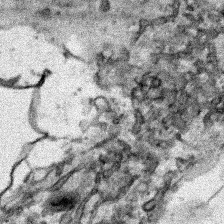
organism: Human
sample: Mitochondria in HCT116 cells